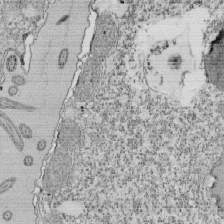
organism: Tetrahymena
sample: Cilia in tetrahymena